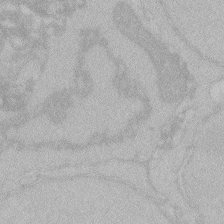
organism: Zebrafish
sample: Macrophage infected with Toxoplasma gondii